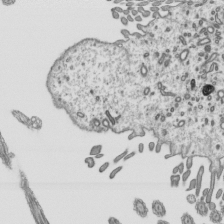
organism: Mouse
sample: Mouse epididymis efferent ductule cilia